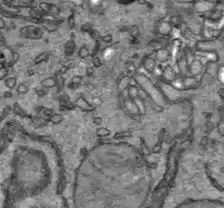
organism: C57BL Mouse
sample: Liver